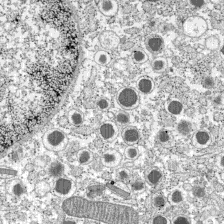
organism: C57BL Mouse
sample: Pancreatic islet